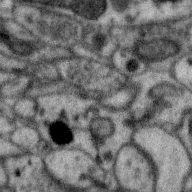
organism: Zebra finch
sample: Brain